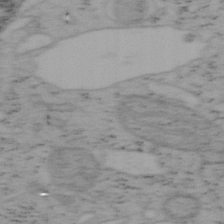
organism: Mouse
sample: OT-I killer T cells with ID8 ovarian cancer cells